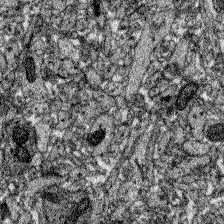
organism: Zebrafish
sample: Larval olfactory bulb